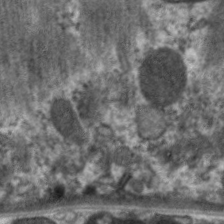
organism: C. elegans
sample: Pharynx